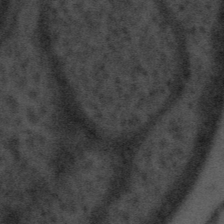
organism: Tuwongella immobilis